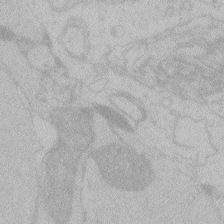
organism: Zebrafish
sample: Macrophage infected with Toxoplasma gondii